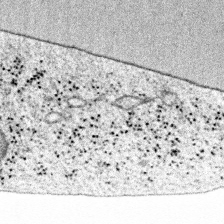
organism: Human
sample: HeLa cells